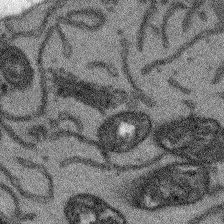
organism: Arabidopsis thaliana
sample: Root tip